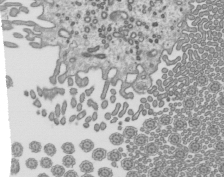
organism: Mouse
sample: Mouse epididymis efferent ductule cilia